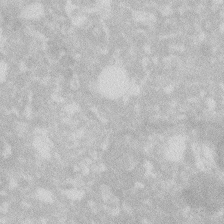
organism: Zebrafish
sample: Macrophage